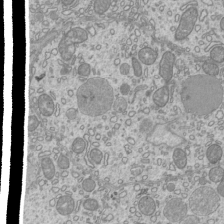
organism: Mouse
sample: Cilia; mouse epididymis